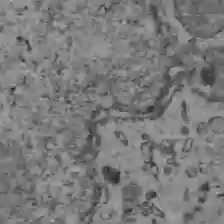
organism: C57BL Mouse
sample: Liver